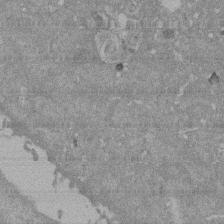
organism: Mouse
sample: ED-1 cell nuclei; centrioles